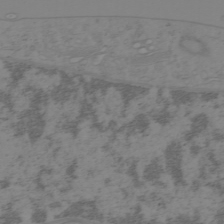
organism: Human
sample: HeLa cells